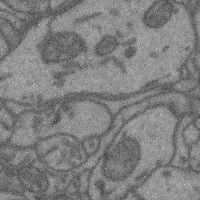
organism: Mouse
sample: Cerebral cortex